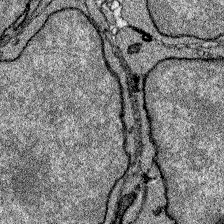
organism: Zebrafish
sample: Larval olfactory bulb